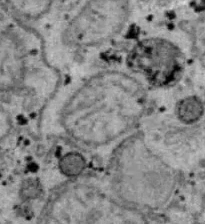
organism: Mouse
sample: Liver from an obese (ob/ob) mouse